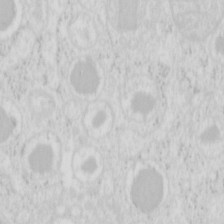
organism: Mouse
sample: Pancreas